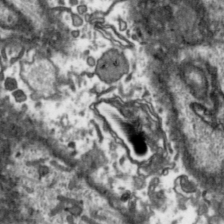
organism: Toxoplasma gondii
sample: Parasites in a vacuole inside a host cell